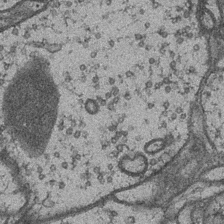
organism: Drosophila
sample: Optic medulla